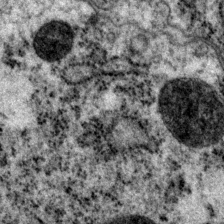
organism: P. pacificus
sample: Pharynx